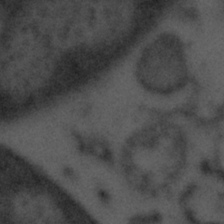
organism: Tuwongella immobilis